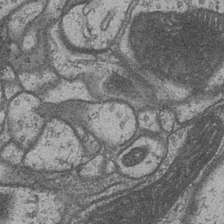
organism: Drosophila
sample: Optic medulla